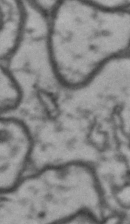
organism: Drosophila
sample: Brain